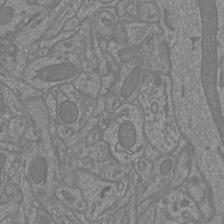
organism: Mouse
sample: Cortical neurons